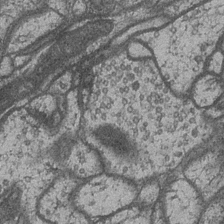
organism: Drosophila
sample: Optic medulla